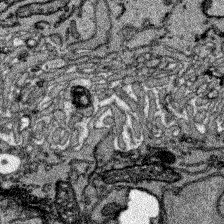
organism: Zebrafish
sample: Larval olfactory bulb